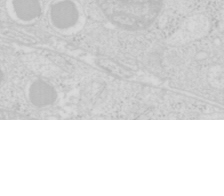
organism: Mouse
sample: Pancreas